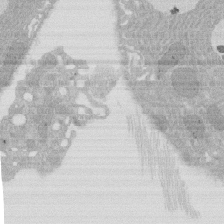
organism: Rat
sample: Salivary granule